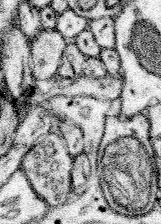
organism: Mouse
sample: Somatosensory cortex neuropil